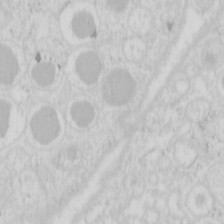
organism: Mouse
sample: Pancreas